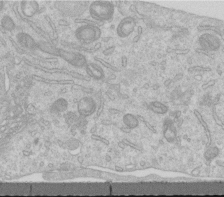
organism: Human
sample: Centriole in RPE cells